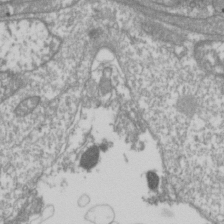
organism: Drosophila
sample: Cell division; meiosis; drosophila spermatocytes